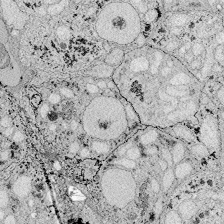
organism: Zebrafish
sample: Whole-Brain